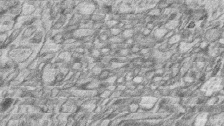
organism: Zebrafish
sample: synaptic ribbons in rod cells and cone cells